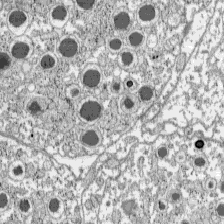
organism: C57BL Mouse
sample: Pancreatic islet